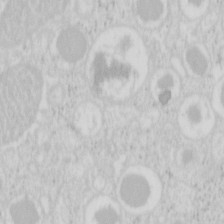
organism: Mouse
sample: Pancreas